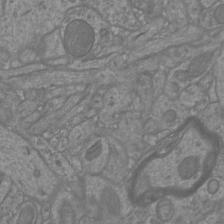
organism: Mouse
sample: Cortical neurons